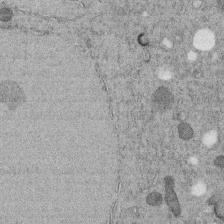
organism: C. elegans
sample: C. elegans embryo early stage